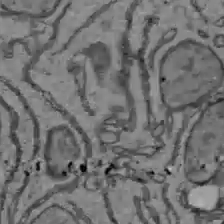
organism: C57BL Mouse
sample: Liver